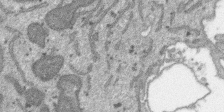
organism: Human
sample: Lung epithelial cells infected with SARS-CoV-2